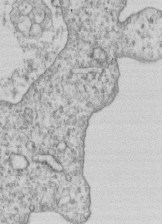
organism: Human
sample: MDA-MB-231 cells